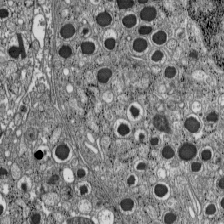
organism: C57BL Mouse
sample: Pancreatic islet